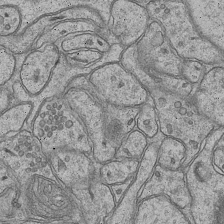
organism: Mouse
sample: CA1 Hippocampus